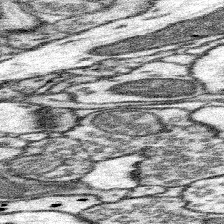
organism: Mouse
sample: Somatosensory cortex neuropil